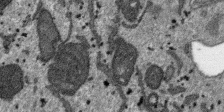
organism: Human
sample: Lung epithelial cells, uninfected (mock) control